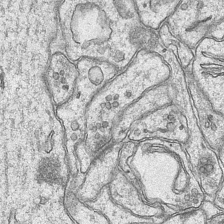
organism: Mouse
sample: CA1 Hippocampus